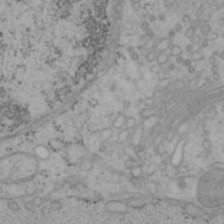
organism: Human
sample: HeLa cells